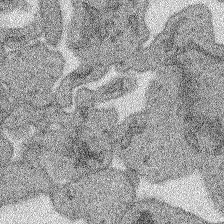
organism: Human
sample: HeLa cells